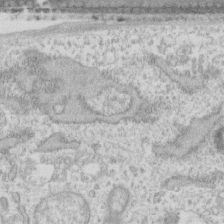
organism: Human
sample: Fibroblast cells